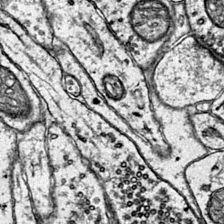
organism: Mouse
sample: Primary visual cortex